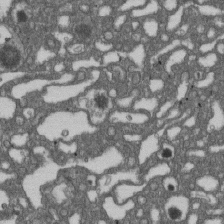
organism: Drosophila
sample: Nephrocyte